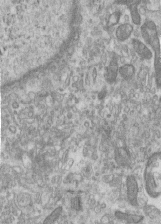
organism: Human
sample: Centriole in RPE cells